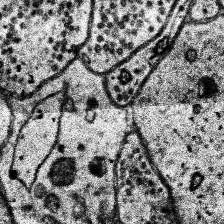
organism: Human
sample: Temporal Lobe